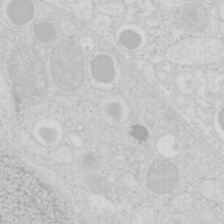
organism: Mouse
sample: Pancreas